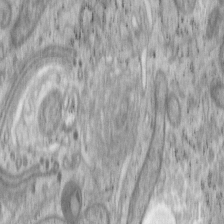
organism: Human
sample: HeLa cells